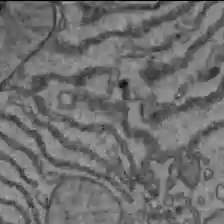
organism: C57BL Mouse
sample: Liver